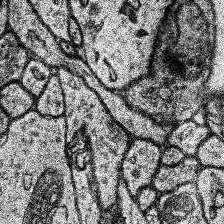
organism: Human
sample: Temporal Lobe